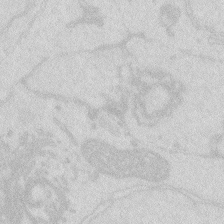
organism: Zebrafish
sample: Macrophage